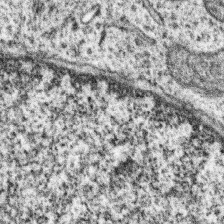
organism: Human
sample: HeLa cells